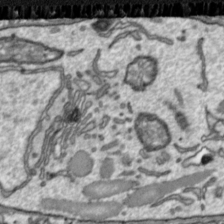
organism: Toxoplasma gondii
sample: Parasites in a vacuole inside a host cell